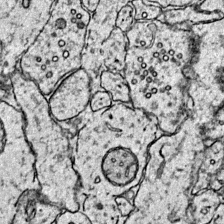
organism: Mouse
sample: Primary visual cortex